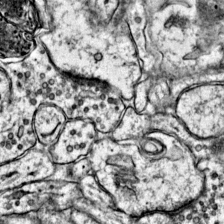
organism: Mouse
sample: Primary visual cortex